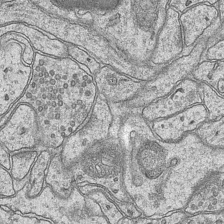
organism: Mouse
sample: CA1 Hippocampus